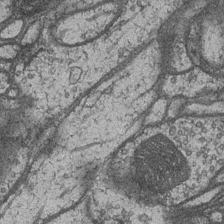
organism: Drosophila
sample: Optic medulla